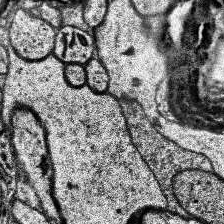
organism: Human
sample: Temporal Lobe